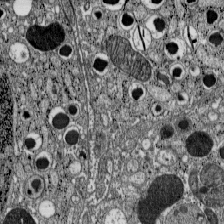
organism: C57BL Mouse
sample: Pancreatic islet